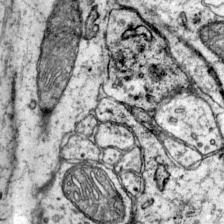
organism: Mouse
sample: Primary visual cortex